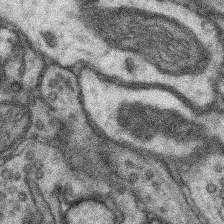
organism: Mouse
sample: Somatosensory cortex neuropil